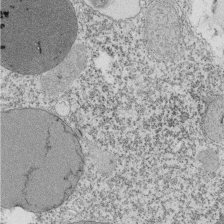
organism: Tetrahymena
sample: Cilia in tetrahymena